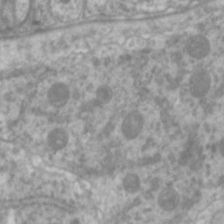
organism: C. elegans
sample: Pharynx